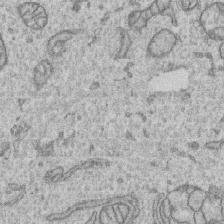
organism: Human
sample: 1205lu cells